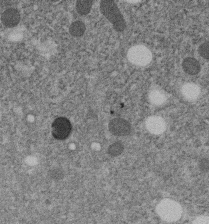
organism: C. elegans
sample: C. elegans embryo early stage